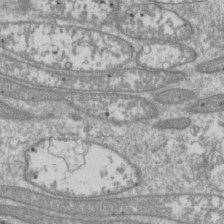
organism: Drosophila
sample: Cell division; meiosis; drosophila spermatocytes